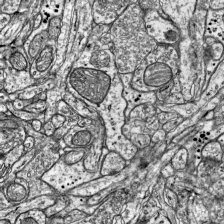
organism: Mouse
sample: Visual Cortex